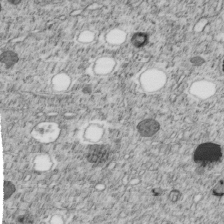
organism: C. elegans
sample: C. elegans embryo early stage